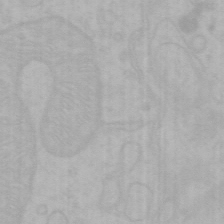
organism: Mouse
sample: Choroid plexus